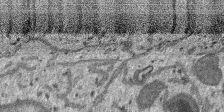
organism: Human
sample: Lung epithelial cells infected with SARS-CoV-2